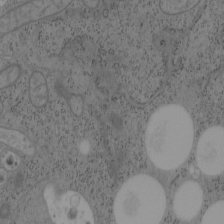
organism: Mouse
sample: OT-I killer T cells with ID8 ovarian cancer cells